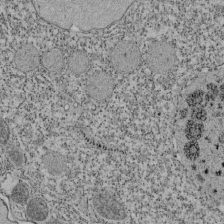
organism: Tetrahymena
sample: Cilia in tetrahymena